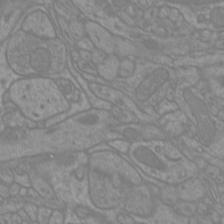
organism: Mouse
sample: Cortical neurons